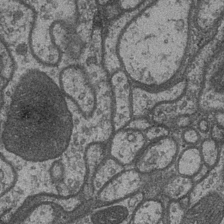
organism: Drosophila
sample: Optic medulla